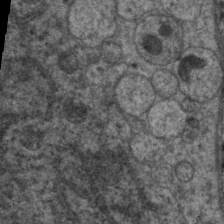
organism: C. elegans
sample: Pharynx